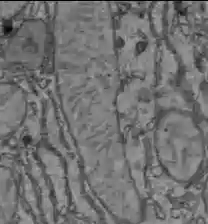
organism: C57BL Mouse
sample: Liver